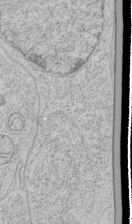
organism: Human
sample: Mitochondria in HCT116 cells